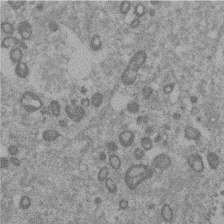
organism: Mouse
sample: Dividing mouse embryo 1 cell stage